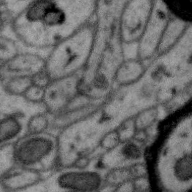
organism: Zebra finch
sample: Brain